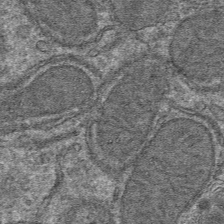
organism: Mouse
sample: Mouse hepatocytes